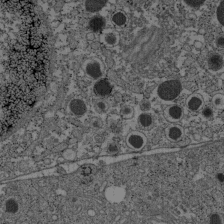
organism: C57BL Mouse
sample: Pancreatic islet